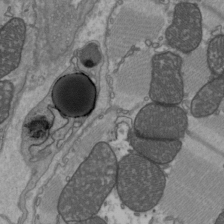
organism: C57BL Mouse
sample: Heart